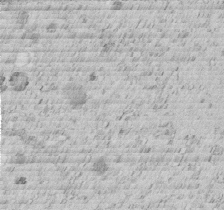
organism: C. elegans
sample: C. elegans embryo early stage